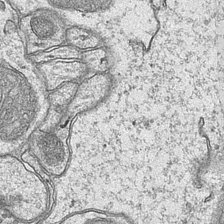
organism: Mouse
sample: CA1 Hippocampus